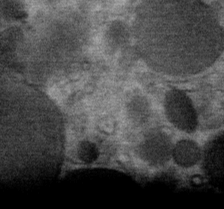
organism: Mouse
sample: Mouse Salivary gland